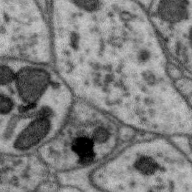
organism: Zebra finch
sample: Brain